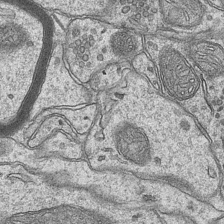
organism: Mouse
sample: CA1 Hippocampus